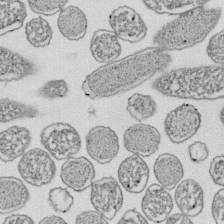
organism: E. coli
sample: Bacterial nucleoid